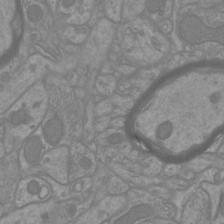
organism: Mouse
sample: Cortical neurons